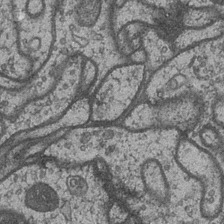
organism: Drosophila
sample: Optic medulla